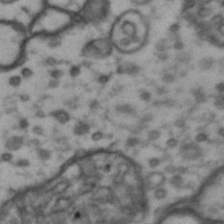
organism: Drosophila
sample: Brain